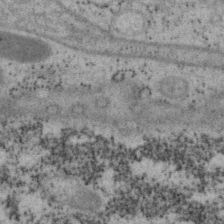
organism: Human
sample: HeLa cells